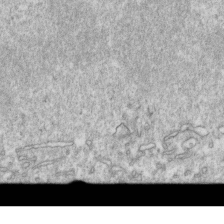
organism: Mouse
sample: Activated OT-1 CD8+ T cells